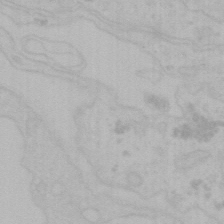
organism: Mouse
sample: Choroid plexus